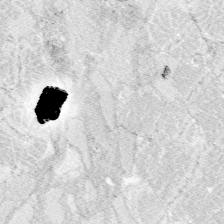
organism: Zebrafish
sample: Whole-Brain